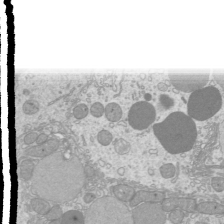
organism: Mouse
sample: Cilia; mouse epididymis